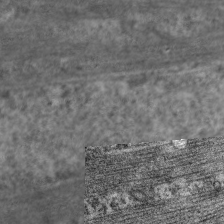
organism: C. elegans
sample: Pharynx